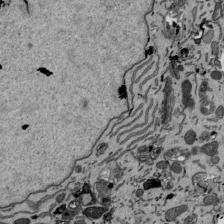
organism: Mouse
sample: ED-1 cell nuclei; centrioles